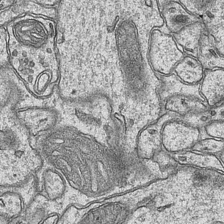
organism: Mouse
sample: CA1 Hippocampus